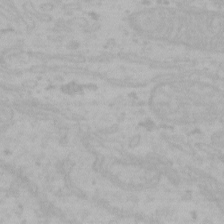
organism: Mouse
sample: Choroid plexus